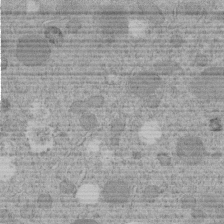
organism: C. elegans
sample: C. elegans embryo early stage